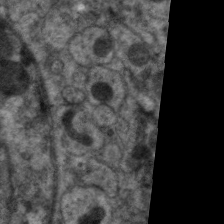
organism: C. elegans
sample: Pharynx